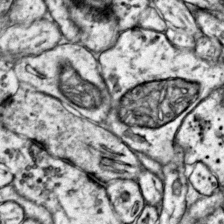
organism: Mouse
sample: Primary visual cortex